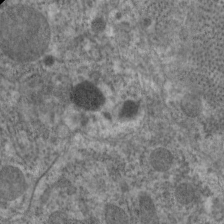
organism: C. elegans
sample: Pharynx